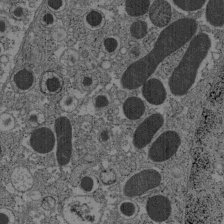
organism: C57BL Mouse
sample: Pancreatic islet